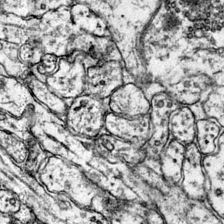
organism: Mouse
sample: Primary visual cortex